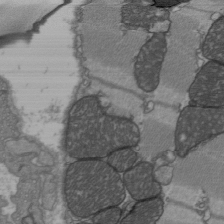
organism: C57BL Mouse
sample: Heart